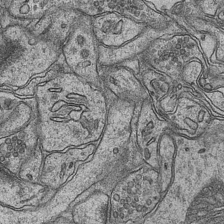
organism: Mouse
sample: CA1 Hippocampus